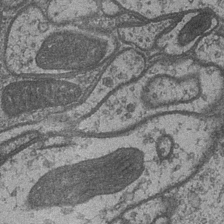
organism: Drosophila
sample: Optic medulla